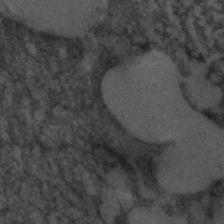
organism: C. elegans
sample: C. elegans embryo